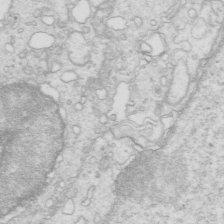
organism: Mouse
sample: Multiciliated cells